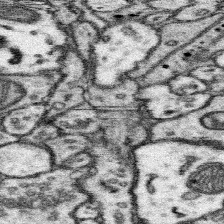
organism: Mouse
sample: Somatosensory cortex neuropil